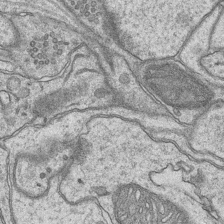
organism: Mouse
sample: CA1 Hippocampus